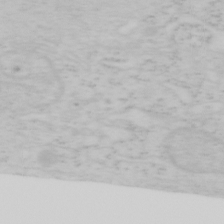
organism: Mouse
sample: OT-I killer T cells with ID8 ovarian cancer cells